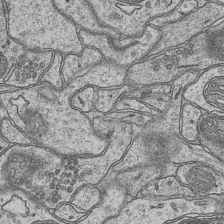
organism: Mouse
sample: CA1 Hippocampus